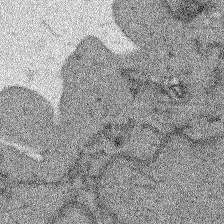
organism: Human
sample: HeLa cells